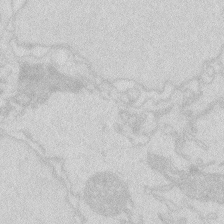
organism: Zebrafish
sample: Macrophage